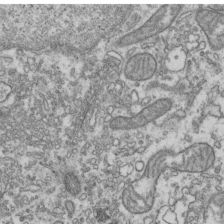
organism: Human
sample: Activated Jurkat CD4+ T cells